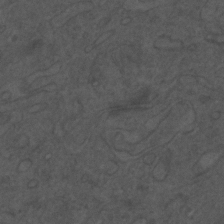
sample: Trachea